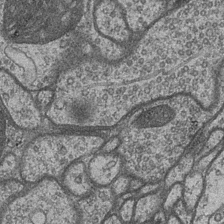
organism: Drosophila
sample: Optic medulla